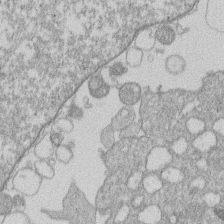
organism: Human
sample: Macrophage cells